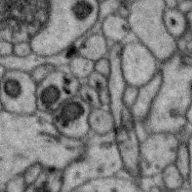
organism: Zebra finch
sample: Brain